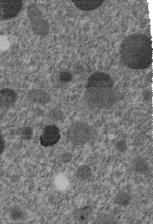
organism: C. elegans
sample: C. elegans embryo early stage